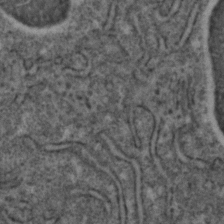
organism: C. elegans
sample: C. elegans embryo